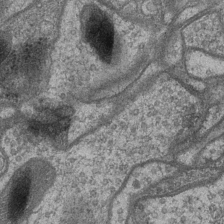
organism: Drosophila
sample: Optic medulla